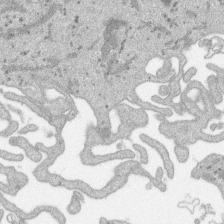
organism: Human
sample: Lung epithelial cells infected with SARS-CoV-2